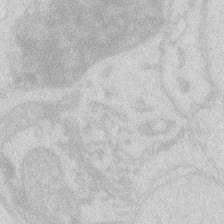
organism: Zebrafish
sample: Macrophage